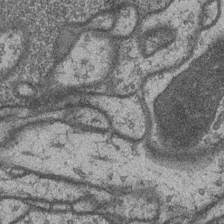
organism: Drosophila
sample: Optic medulla